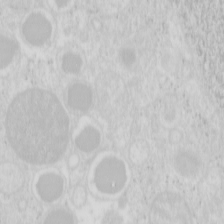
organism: Mouse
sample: Pancreas